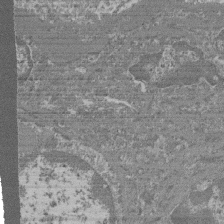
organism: Mouse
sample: Glomerulus